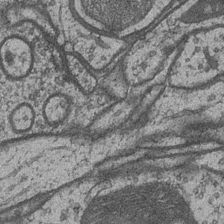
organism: Drosophila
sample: Optic medulla